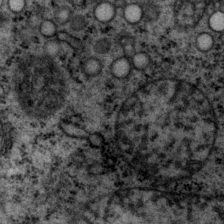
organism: P. pacificus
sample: Pharynx